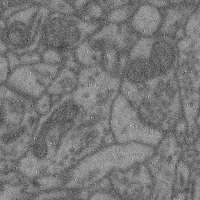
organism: Mouse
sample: Cerebral cortex